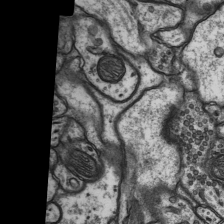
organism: Rat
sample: Hippocampus